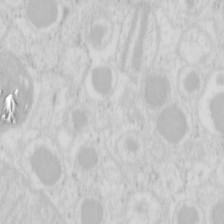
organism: Mouse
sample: Pancreas